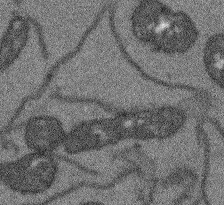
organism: Arabidopsis thaliana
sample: Root tip